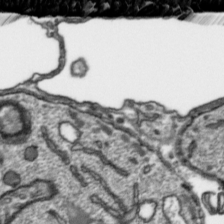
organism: Toxoplasma gondii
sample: Parasites in a vacuole inside a host cell